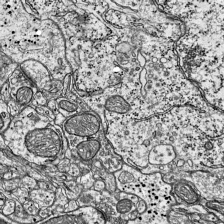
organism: Mouse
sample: Visual Cortex